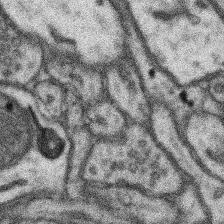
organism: Mouse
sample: Somatosensory cortex neuropil